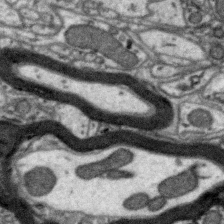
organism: Zebra finch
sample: Brain